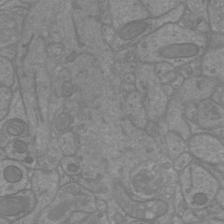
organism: Mouse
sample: Cortical neurons